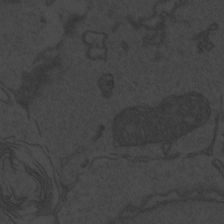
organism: Zebrafish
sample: Macrophage infected with Toxoplasma gondii